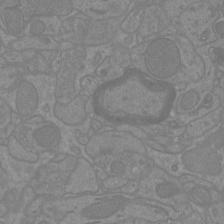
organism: Mouse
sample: Cortical neurons